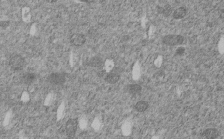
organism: C. elegans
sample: C. elegans embryo early stage